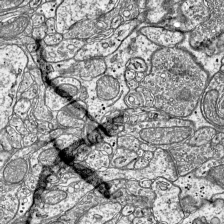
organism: Mouse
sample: Visual Cortex